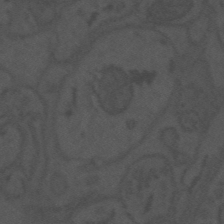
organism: Mouse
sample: Suprachiasmatic nucleus